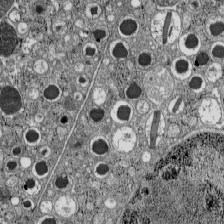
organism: C57BL Mouse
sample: Pancreatic islet